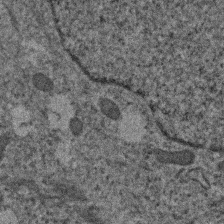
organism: Human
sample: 1205lu cells